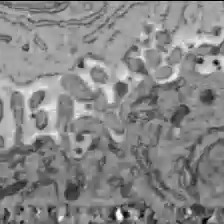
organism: C57BL Mouse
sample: Liver